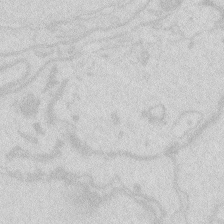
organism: Zebrafish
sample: Macrophage